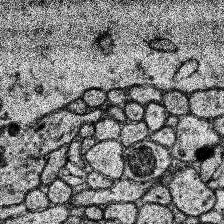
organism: Human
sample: Temporal Lobe